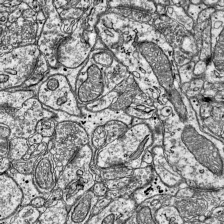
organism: Mouse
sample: Visual Cortex